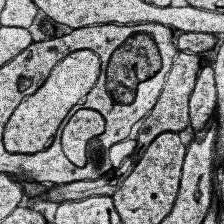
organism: Human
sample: Temporal Lobe